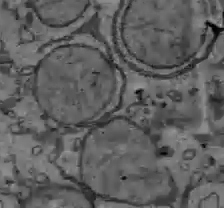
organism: C57BL Mouse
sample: Liver